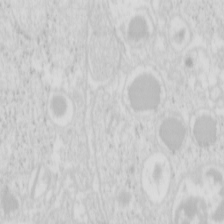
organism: Mouse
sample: Pancreas